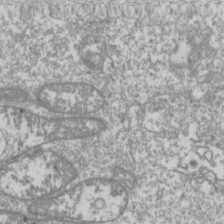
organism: Drosophila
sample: Cell division; meiosis; drosophila spermatocytes